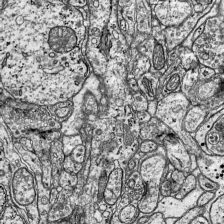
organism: Mouse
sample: Visual Cortex